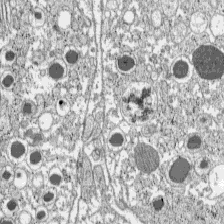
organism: C57BL Mouse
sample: Pancreatic islet